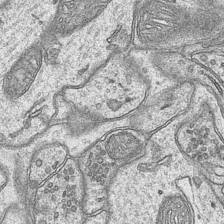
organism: Mouse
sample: CA1 Hippocampus